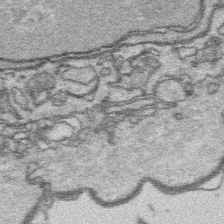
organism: Platynereis dumerilii